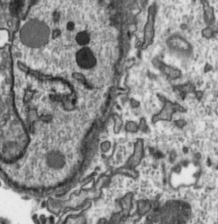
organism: Toxoplasma gondii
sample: Parasites in a vacuole inside a host cell